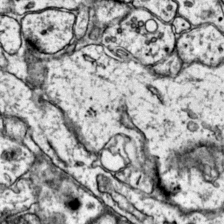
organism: Mouse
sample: Primary visual cortex